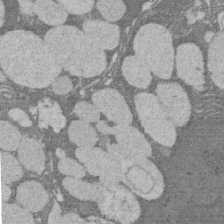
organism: Rat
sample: Salivary granule